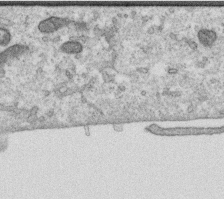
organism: Human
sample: Centriole in RPE cells